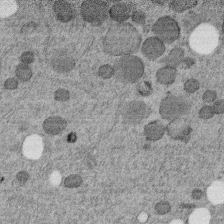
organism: C. elegans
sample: C. elegans embryo early stage